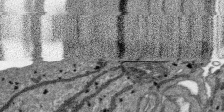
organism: Human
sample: Lung epithelial cells, uninfected (mock) control